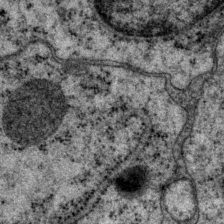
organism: P. pacificus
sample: Pharynx